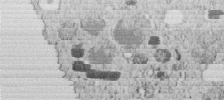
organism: C. elegans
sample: C. elegans embryo early stage